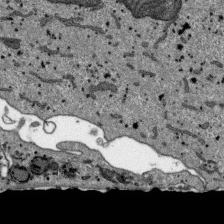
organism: Human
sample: Lung epithelial cells, uninfected (mock) control